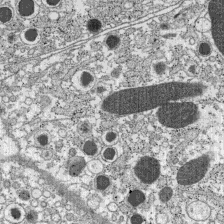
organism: C57BL Mouse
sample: Pancreatic islet